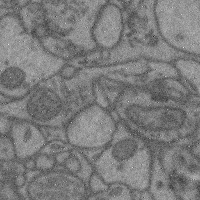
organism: Mouse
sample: Cerebral cortex